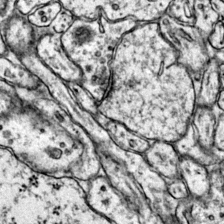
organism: Mouse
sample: Primary visual cortex